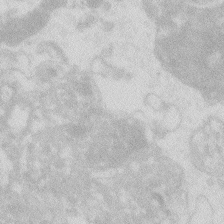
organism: Zebrafish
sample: Macrophage